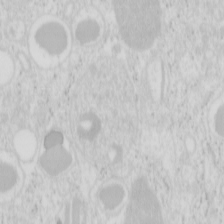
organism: Mouse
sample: Pancreas